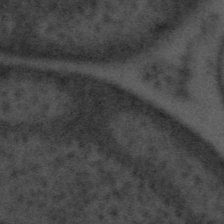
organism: Tuwongella immobilis